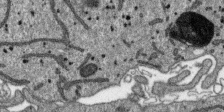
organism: Human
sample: Lung epithelial cells, uninfected (mock) control